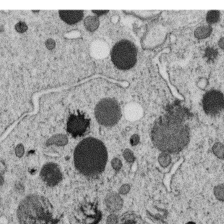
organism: C. elegans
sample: C. elegans oocyte; sperm cells